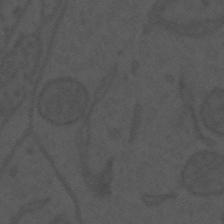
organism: Mouse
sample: Suprachiasmatic nucleus